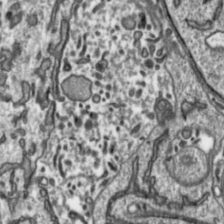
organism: Toxoplasma gondii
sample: Parasites in a vacuole inside a host cell